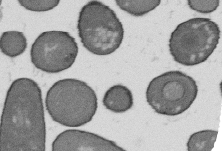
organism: B. subtilis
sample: Bacterial spore